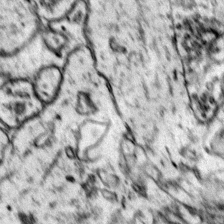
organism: Mouse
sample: Primary visual cortex